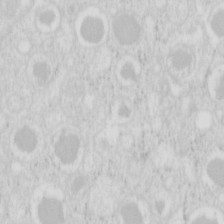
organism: Mouse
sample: Pancreas